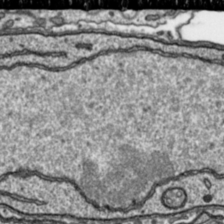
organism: Toxoplasma gondii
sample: Parasites in a vacuole inside a host cell